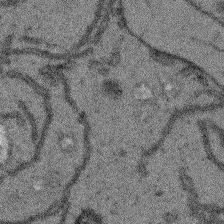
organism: Arabidopsis thaliana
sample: Root tip